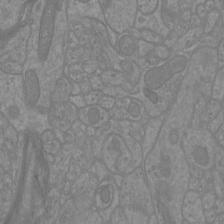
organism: Mouse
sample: Cortical neurons